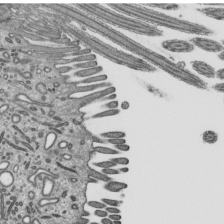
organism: Mouse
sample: Mouse epididymis efferent ductule cilia